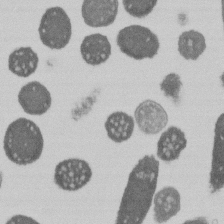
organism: E. coli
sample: Bacterial nucleoid